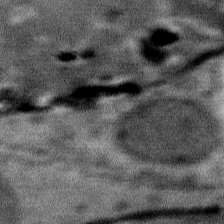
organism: Mouse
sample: Mouse Salivary gland